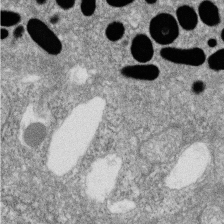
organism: Zebrafish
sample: Cilia; retinal pigment epithelium